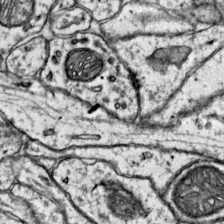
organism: Mouse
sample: Primary visual cortex